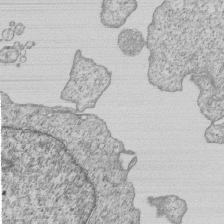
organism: Human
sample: MDA-MB-231 cells